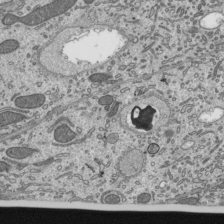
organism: Mouse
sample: Mouse epididymis efferent ductule cilia